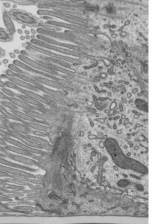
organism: Mouse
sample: Mouse epididymis efferent ductule cilia